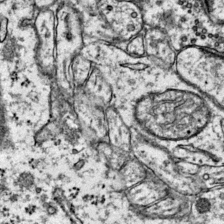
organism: Mouse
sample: Primary visual cortex